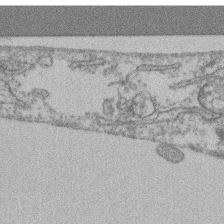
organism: Mouse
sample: T cell stromal cell synapse